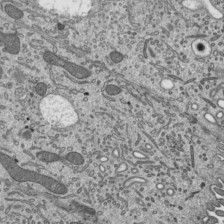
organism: Mouse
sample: Mouse epididymis efferent ductule cilia